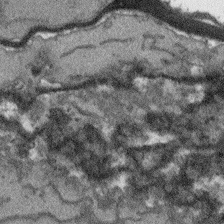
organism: Arabidopsis thaliana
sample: Root tip